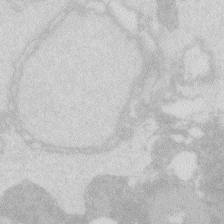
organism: Zebrafish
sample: Macrophage